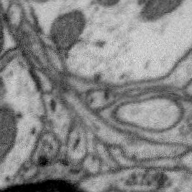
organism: Zebra finch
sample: Brain